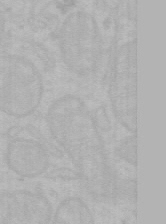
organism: Mouse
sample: Choroid plexus